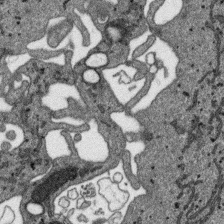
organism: Human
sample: Lung epithelial cells infected with SARS-CoV-2